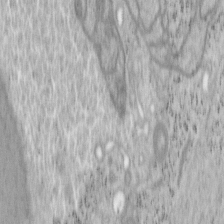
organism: Human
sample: HeLa cells